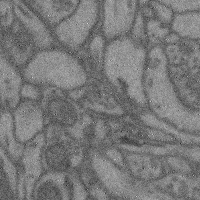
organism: Mouse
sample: Cerebral cortex